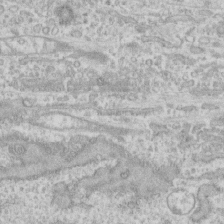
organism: Human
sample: CRL-1474